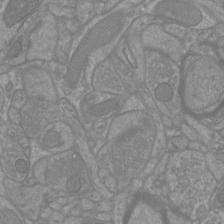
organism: Mouse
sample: Cortical neurons